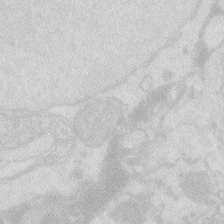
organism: Zebrafish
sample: Macrophage